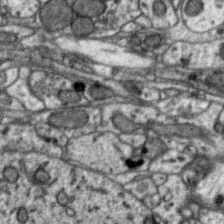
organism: Zebra finch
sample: Brain